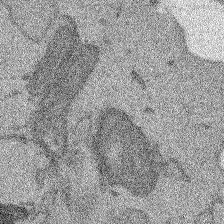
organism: Human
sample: HeLa cells